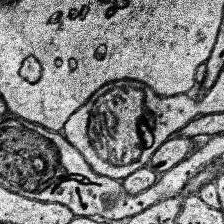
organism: Human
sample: Temporal Lobe